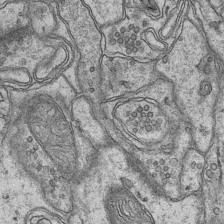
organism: Mouse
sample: CA1 Hippocampus